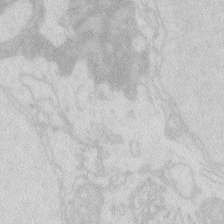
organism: Zebrafish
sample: Macrophage